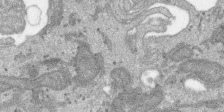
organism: Human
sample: Lung epithelial cells infected with SARS-CoV-2